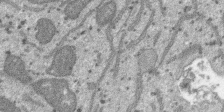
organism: Human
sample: Lung epithelial cells infected with SARS-CoV-2